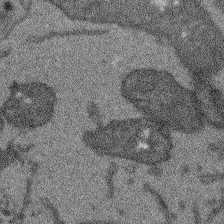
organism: Arabidopsis thaliana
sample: Root tip